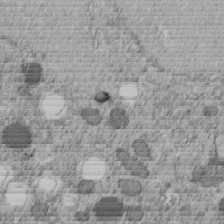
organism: C. elegans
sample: C. elegans embryo early stage